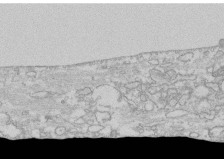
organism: Human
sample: CRL-1474